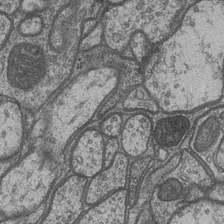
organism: Drosophila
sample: Optic medulla